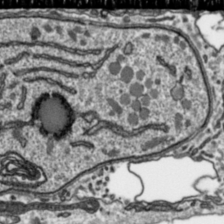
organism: Toxoplasma gondii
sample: Parasites in a vacuole inside a host cell